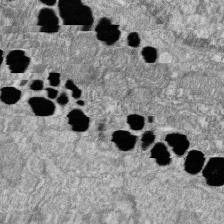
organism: Zebrafish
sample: Cilia; retinal pigment epithelium